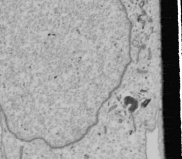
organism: Human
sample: Mitochondria in U2OS cells